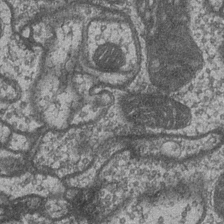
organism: Drosophila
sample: Optic medulla